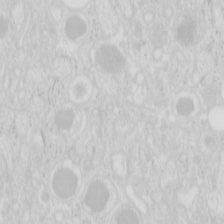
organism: Mouse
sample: Pancreas